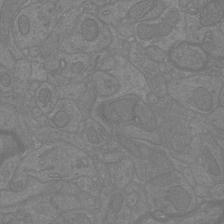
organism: Mouse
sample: Cortical neurons